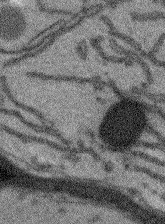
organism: Arabidopsis thaliana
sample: Root tip